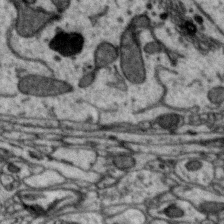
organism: Zebra finch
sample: Brain